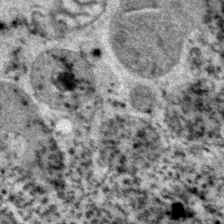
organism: Zebrafish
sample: Zebrafish embryo